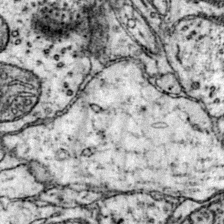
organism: Mouse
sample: Primary visual cortex